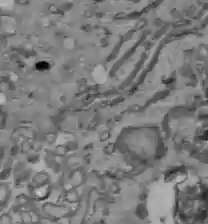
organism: C57BL Mouse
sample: Liver